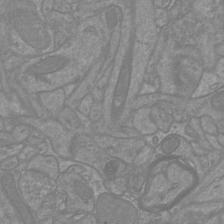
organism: Mouse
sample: Cortical neurons